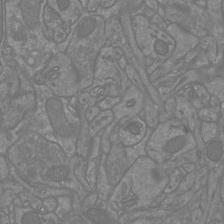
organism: Mouse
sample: Cortical neurons